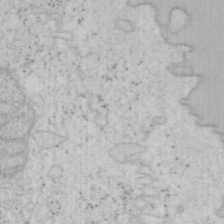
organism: Human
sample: HeLa cells